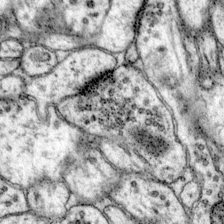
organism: Mouse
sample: Primary visual cortex